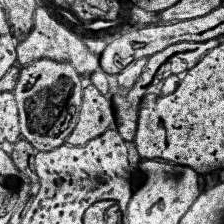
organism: Human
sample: Temporal Lobe